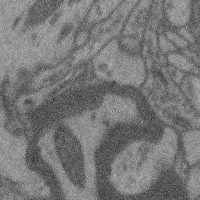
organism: Mouse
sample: Cerebral cortex